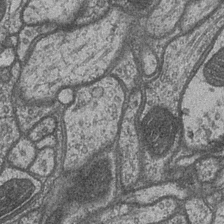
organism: Drosophila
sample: Optic medulla